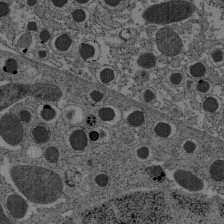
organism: C57BL Mouse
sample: Pancreatic islet